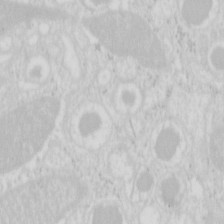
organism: Mouse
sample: Pancreas